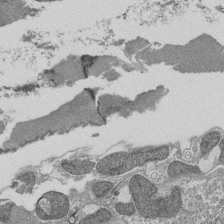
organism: Tetrahymena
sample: Cilia in tetrahymena